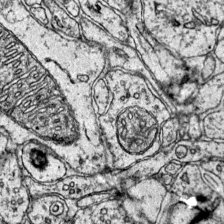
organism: Mouse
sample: Primary visual cortex